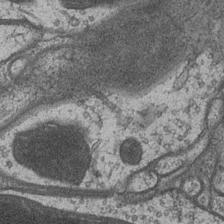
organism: Drosophila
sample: Optic medulla